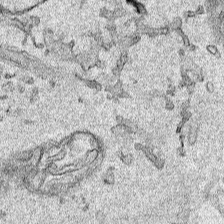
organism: Human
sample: Mitochondria in HCT116 cells